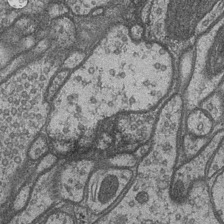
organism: Drosophila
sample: Optic medulla